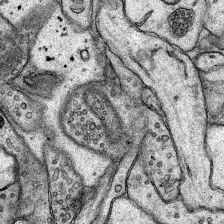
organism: Rat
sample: Hippocampus